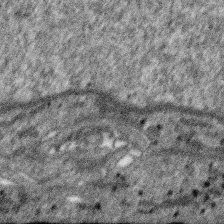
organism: Human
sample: Lung epithelial cells infected with SARS-CoV-2